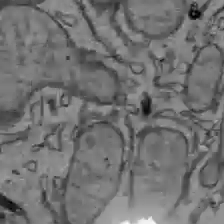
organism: C57BL Mouse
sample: Liver